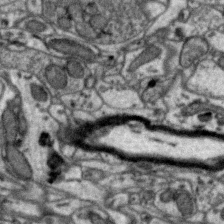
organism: Zebra finch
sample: Brain